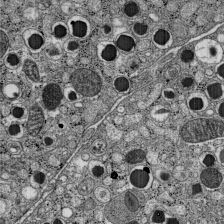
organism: C57BL Mouse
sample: Pancreatic islet